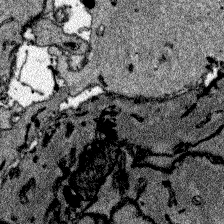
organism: Zebrafish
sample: Larval olfactory bulb